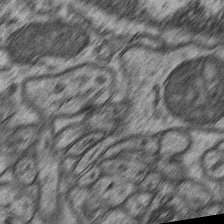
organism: Mouse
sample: CA1 Hippocampus